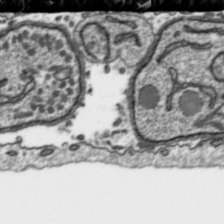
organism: Toxoplasma gondii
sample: Parasites in a vacuole inside a host cell